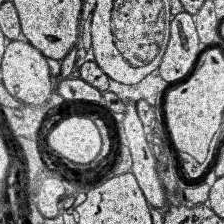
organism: Human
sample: Temporal Lobe